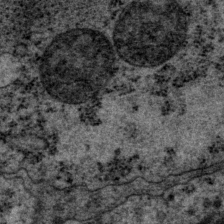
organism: P. pacificus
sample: Pharynx